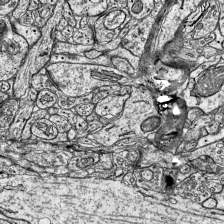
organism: Mouse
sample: Visual Cortex